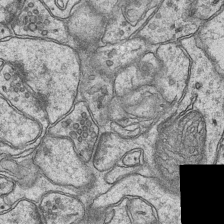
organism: Mouse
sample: CA1 Hippocampus